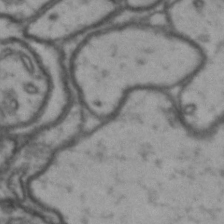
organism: Drosophila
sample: Brain